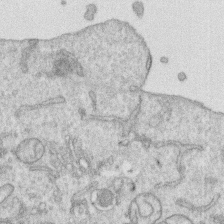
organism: Human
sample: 1205lu cells